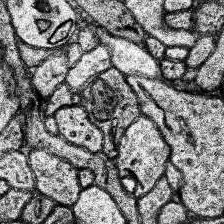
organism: Human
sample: Temporal Lobe